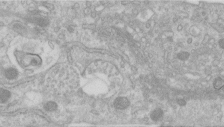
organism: Human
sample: Centriole in RPE cells